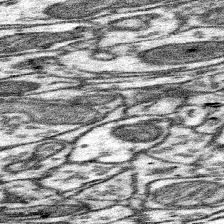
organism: Mouse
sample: Somatosensory cortex neuropil